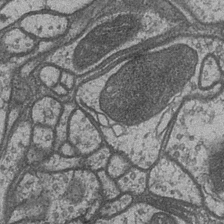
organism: Drosophila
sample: Optic medulla